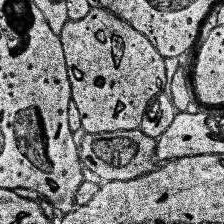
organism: Human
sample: Temporal Lobe